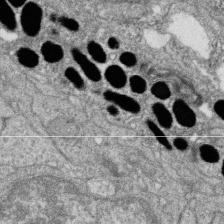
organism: Zebrafish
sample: Cilia; retinal pigment epithelium